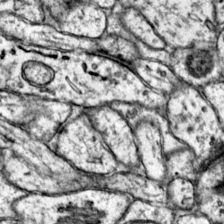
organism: Mouse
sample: Primary visual cortex